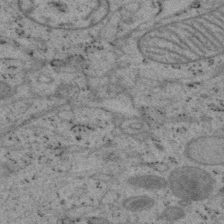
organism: Human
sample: HeLa cells